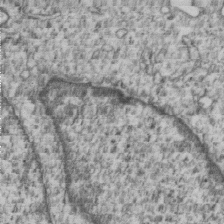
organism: Human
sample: MDA-MB-231 cells